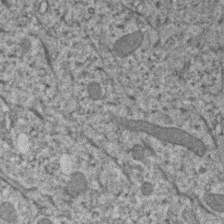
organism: Human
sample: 1205lu cells